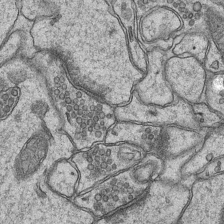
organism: Mouse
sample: CA1 Hippocampus